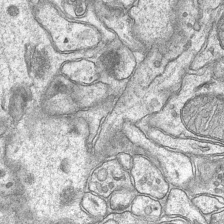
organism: Mouse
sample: CA1 Hippocampus